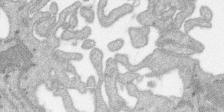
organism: Human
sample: Lung epithelial cells infected with SARS-CoV-2